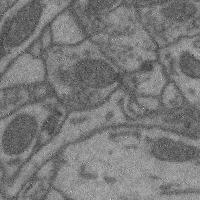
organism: Mouse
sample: Cerebral cortex